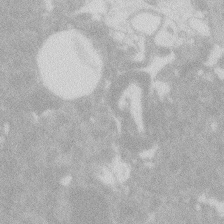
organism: Zebrafish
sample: Macrophage